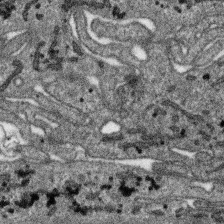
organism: Human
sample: Lung epithelial cells infected with SARS-CoV-2